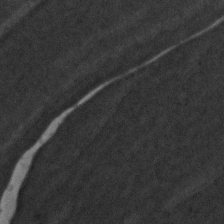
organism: Zebrafish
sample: Zebrafish embryo